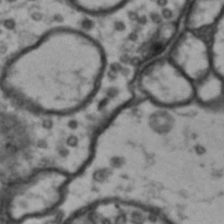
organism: Drosophila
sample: Brain